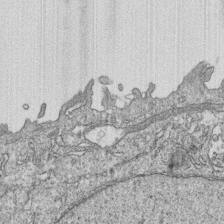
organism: Human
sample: HeLa cell HIV synapse